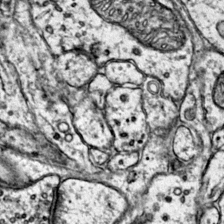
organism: Mouse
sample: Primary visual cortex